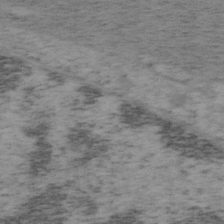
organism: Mouse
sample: OT-I killer T cells with ID8 ovarian cancer cells